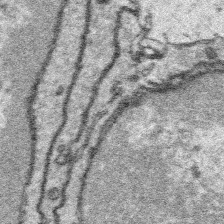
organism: Platynereis dumerilii